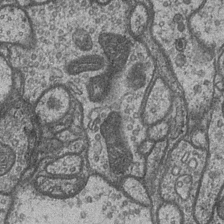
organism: Drosophila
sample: Optic medulla